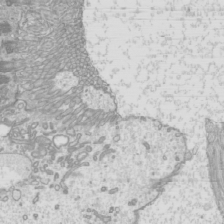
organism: Mouse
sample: Cilia; mouse epididymis